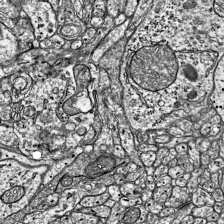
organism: Mouse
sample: Visual Cortex